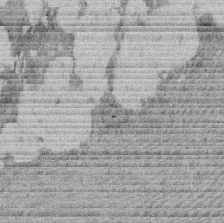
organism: Rat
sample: Salivary granule